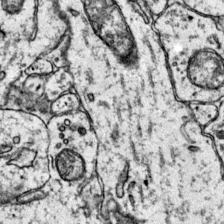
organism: Mouse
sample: Primary visual cortex